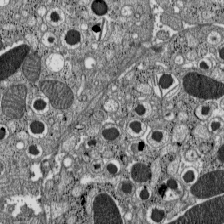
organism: C57BL Mouse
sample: Pancreatic islet